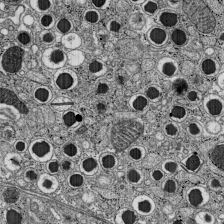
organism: C57BL Mouse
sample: Pancreatic islet